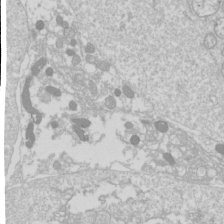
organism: Drosophila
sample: Cell division; meiosis; drosophila spermatocytes